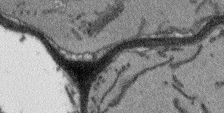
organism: Arabidopsis thaliana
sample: Root tip